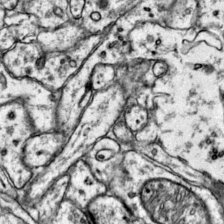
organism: Mouse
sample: Primary visual cortex